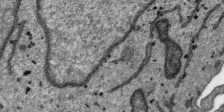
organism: Human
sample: Lung epithelial cells, uninfected (mock) control